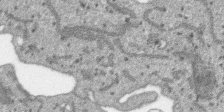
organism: Human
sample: Lung epithelial cells infected with SARS-CoV-2